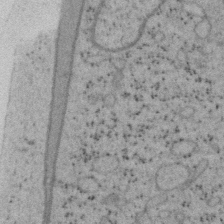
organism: Human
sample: HeLa cells